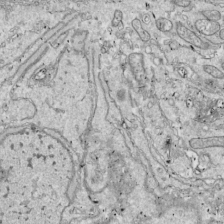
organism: Drosophila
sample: Cell division; meiosis; drosophila spermatocytes